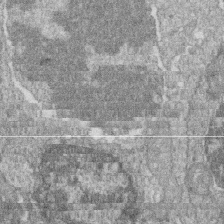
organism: Zebrafish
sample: Cilia; retinal pigment epithelium